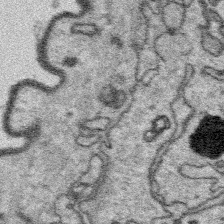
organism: Platynereis dumerilii